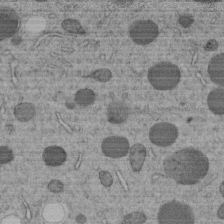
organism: C. elegans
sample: C. elegans embryo early stage